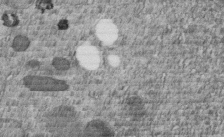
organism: C. elegans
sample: C. elegans embryo early stage